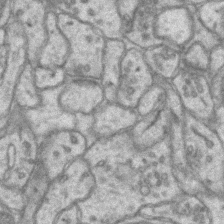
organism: Mouse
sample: CA1 Hippocampus